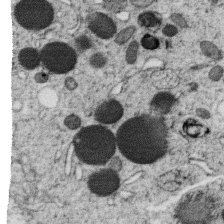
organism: C. elegans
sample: C. elegans oocyte; sperm cells